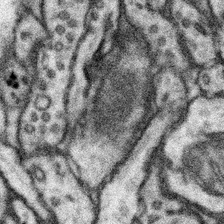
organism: Mouse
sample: Somatosensory cortex neuropil